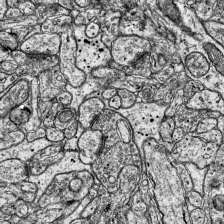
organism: Mouse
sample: Visual Cortex